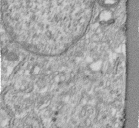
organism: Human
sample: Centriole in fibroblast cells